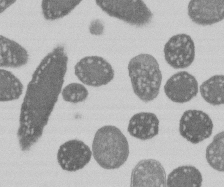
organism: E. coli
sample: Bacterial nucleoid